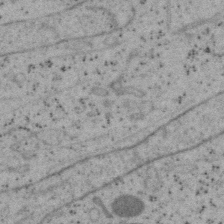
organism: Human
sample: HeLa cells